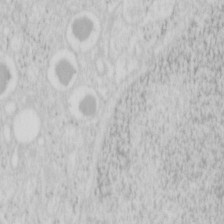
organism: Mouse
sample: Pancreas